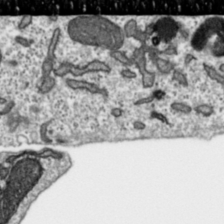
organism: Toxoplasma gondii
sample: Parasites in a vacuole inside a host cell